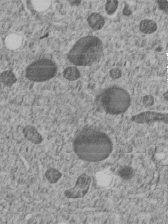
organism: C. elegans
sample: C. elegans embryo early stage